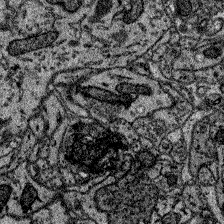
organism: Zebrafish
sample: Larval olfactory bulb